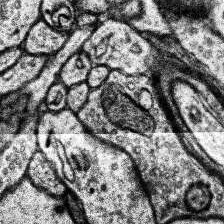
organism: Human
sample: Temporal Lobe